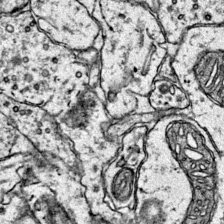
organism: Mouse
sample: Primary visual cortex